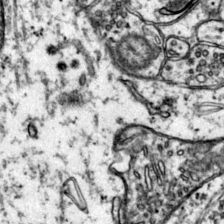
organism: Mouse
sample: Primary visual cortex